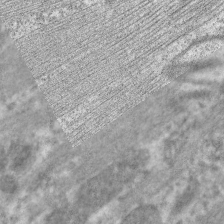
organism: C. elegans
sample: Pharynx